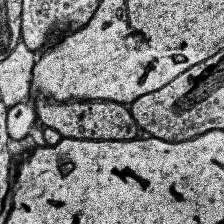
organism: Human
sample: Temporal Lobe